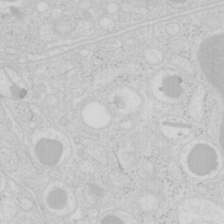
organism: Mouse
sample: Pancreas